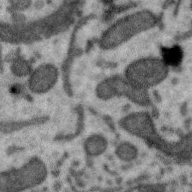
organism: Zebra finch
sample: Brain